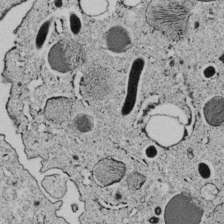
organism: C. elegans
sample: C. elegans embryo early stage